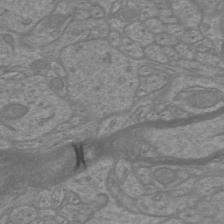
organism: Mouse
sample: Cortical neurons